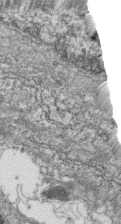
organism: Zebrafish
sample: Cilia; retinal pigment epithelium